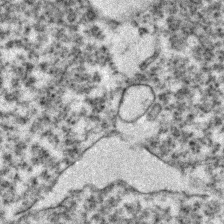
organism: Zebrafish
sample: Zebrafish embryo